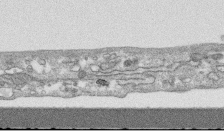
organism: Human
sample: CRL-1474